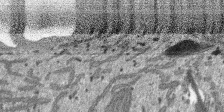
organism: Human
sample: Lung epithelial cells infected with SARS-CoV-2